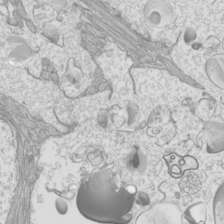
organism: Mouse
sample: Cilia; mouse epididymis